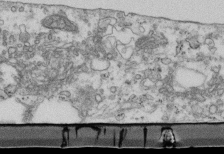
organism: Mouse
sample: Cilia; retinal pigment epithelium